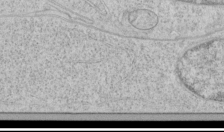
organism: Human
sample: Mitochondria in HCT116 cells